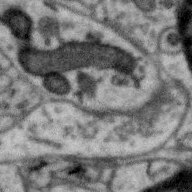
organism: Zebra finch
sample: Brain